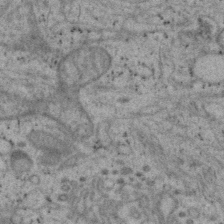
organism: Human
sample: HeLa cells